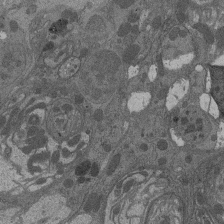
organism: Drosophila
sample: Antenna